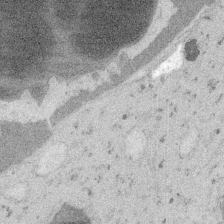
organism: Embia sp.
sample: Silk gland